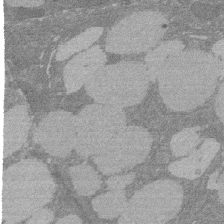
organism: Rat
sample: Salivary granule